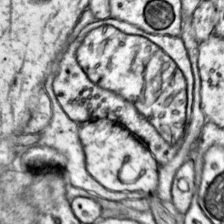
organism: Mouse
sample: Primary visual cortex